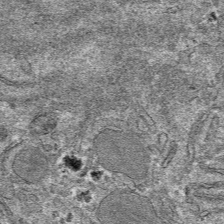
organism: Mouse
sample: Mouse hepatocytes